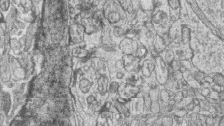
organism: Zebrafish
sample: synaptic ribbons in rod cells and cone cells